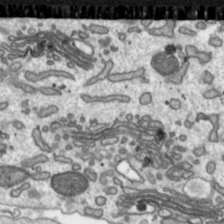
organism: Toxoplasma gondii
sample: Parasites in a vacuole inside a host cell